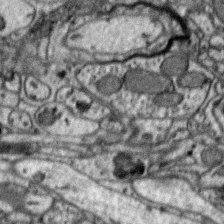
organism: Zebra finch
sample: Brain